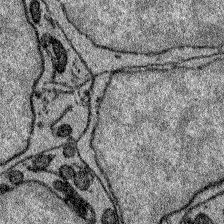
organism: Zebrafish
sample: Larval olfactory bulb